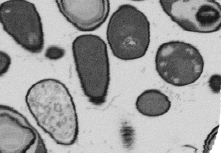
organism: B. subtilis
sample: Bacterial spore